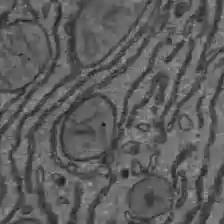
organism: C57BL Mouse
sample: Liver